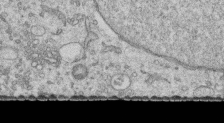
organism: Human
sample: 1205lu cells